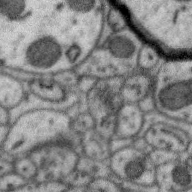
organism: Zebra finch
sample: Brain